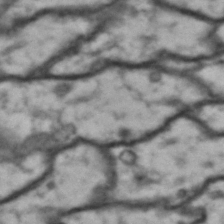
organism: Drosophila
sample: Brain